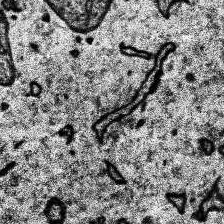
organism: Human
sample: Temporal Lobe